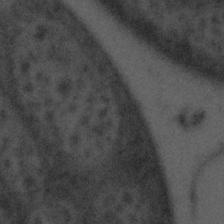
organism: Tuwongella immobilis